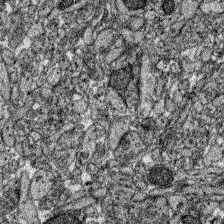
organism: Zebrafish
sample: Larval olfactory bulb